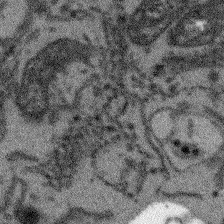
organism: Arabidopsis thaliana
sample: Root tip